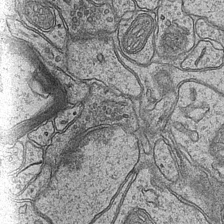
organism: Mouse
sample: CA1 Hippocampus